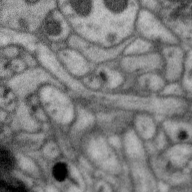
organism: Zebra finch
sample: Brain